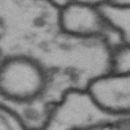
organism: Drosophila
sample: Brain